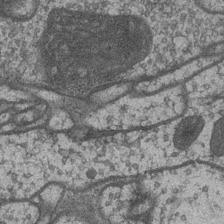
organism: Drosophila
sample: Optic medulla